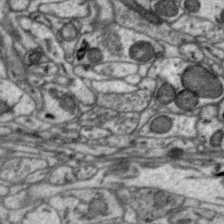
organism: Zebra finch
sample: Brain